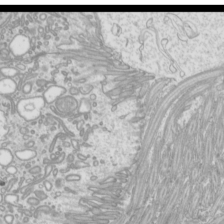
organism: Mouse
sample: Cilia; mouse epididymis